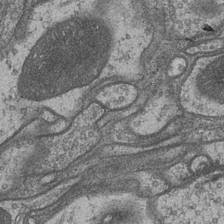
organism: Drosophila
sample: Optic medulla